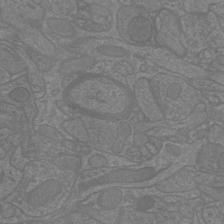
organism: Mouse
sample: Cortical neurons